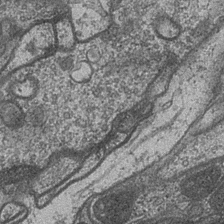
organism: Drosophila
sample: Optic medulla